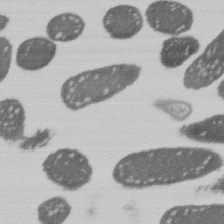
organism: E. coli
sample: Bacterial nucleoid